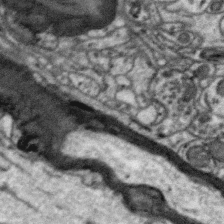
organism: Zebra finch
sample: Brain